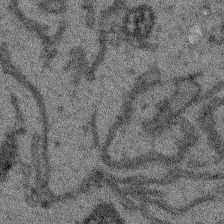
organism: Arabidopsis thaliana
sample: Root tip